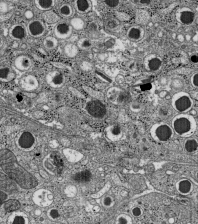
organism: C57BL Mouse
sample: Pancreatic islet